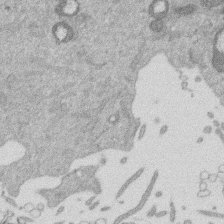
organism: Mouse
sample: Dividing mouse embryo 1 cell stage